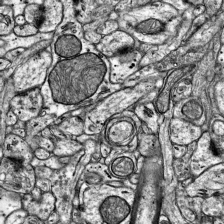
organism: Mouse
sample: Visual Cortex